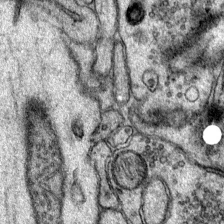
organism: Mouse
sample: Primary visual cortex